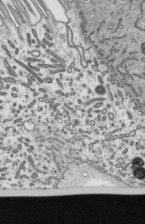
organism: Mouse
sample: Mouse epididymis efferent ductule cilia